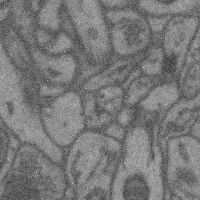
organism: Mouse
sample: Cerebral cortex